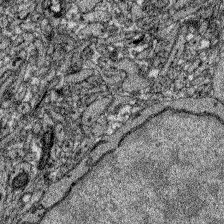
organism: Zebrafish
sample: Larval olfactory bulb